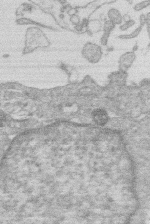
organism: Human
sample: Macrophage cells